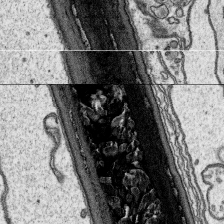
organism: Platynereis dumerilii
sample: Parapodia